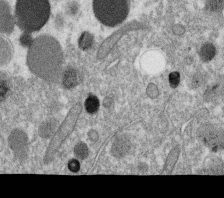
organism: C. elegans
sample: C. elegans oocyte; sperm cells